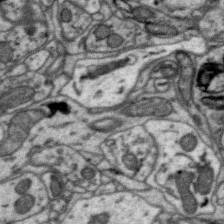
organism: Zebra finch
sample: Brain